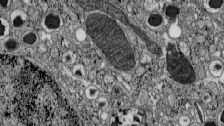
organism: C57BL Mouse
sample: Pancreatic islet